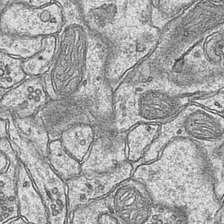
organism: Mouse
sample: CA1 Hippocampus